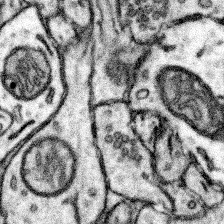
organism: Mouse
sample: Somatosensory cortex neuropil